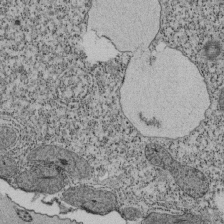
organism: Tetrahymena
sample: Cilia in tetrahymena